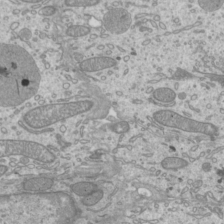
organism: Mouse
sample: Cilia; mouse epididymis